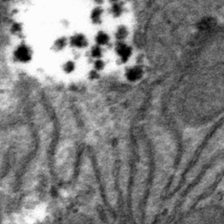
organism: Mouse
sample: Mouse hepatocytes